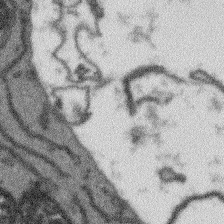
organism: Arabidopsis thaliana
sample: Root tip